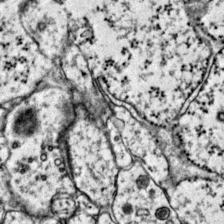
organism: Mouse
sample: Primary visual cortex